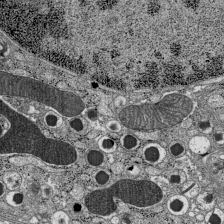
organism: C57BL Mouse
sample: Pancreatic islet